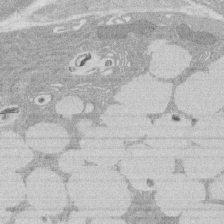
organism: Rat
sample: Salivary granule